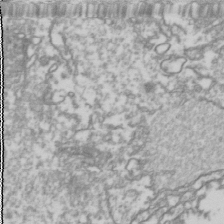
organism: Drosophila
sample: Cell division; meiosis; drosophila spermatocytes